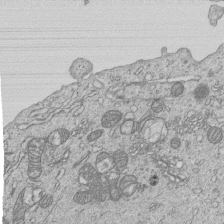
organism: Human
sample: MDA-MB-231 cells